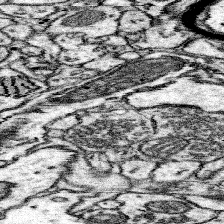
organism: Mouse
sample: Somatosensory cortex neuropil